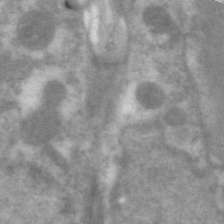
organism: C. elegans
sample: Pharynx